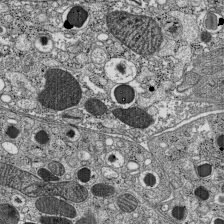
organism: C57BL Mouse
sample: Pancreatic islet